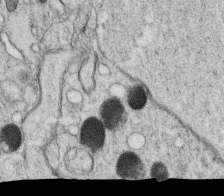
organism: C. elegans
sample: C. elegans oocyte; sperm cells